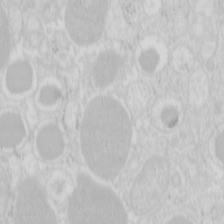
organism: Mouse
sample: Pancreas